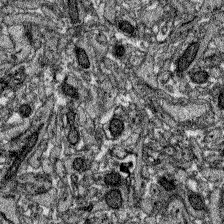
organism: Zebrafish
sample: Larval olfactory bulb